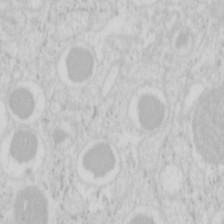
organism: Mouse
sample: Pancreas